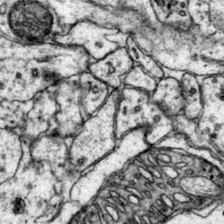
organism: Mouse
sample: Primary visual cortex